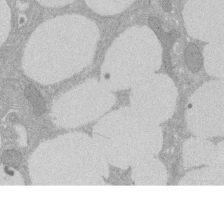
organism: Rat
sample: Salivary granule